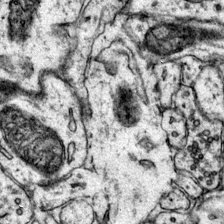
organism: Mouse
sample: Primary visual cortex